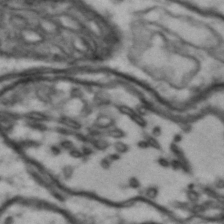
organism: Drosophila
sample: Brain